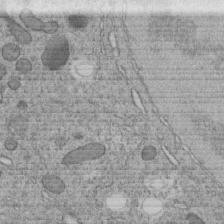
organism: C. elegans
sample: C. elegans embryo early stage